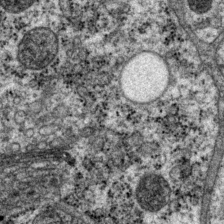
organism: P. pacificus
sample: Pharynx